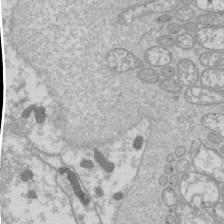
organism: Drosophila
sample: Cell division; meiosis; drosophila spermatocytes